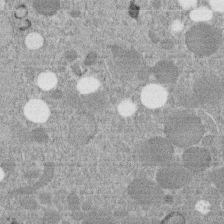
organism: C. elegans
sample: C. elegans embryo early stage